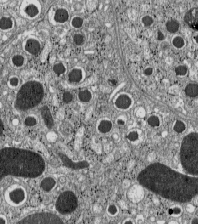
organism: C57BL Mouse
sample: Pancreatic islet